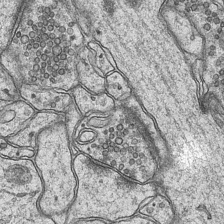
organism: Mouse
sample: CA1 Hippocampus